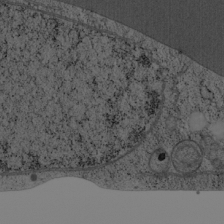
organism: African green monkey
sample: COS-7 cells